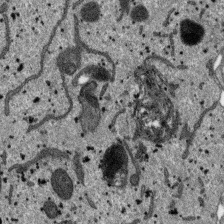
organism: Human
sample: Lung epithelial cells, uninfected (mock) control